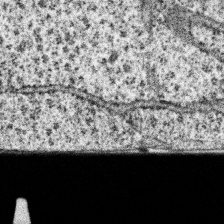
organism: Human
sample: HeLa cells